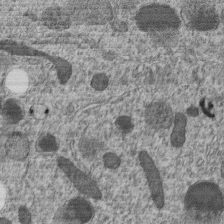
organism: C. elegans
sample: C. elegans embryo early stage